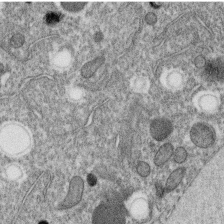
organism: C. elegans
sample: C. elegans oocyte; sperm cells